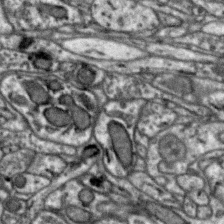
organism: Zebra finch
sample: Brain